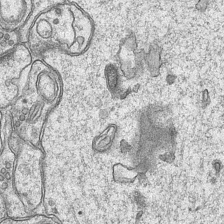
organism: Mouse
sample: CA1 Hippocampus